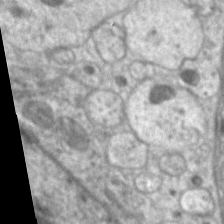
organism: C. elegans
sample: Pharynx